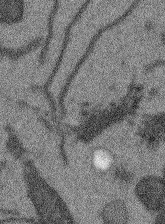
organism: Arabidopsis thaliana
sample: Root tip